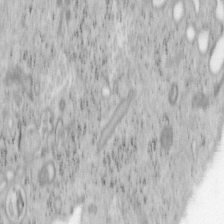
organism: Human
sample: HeLa cells